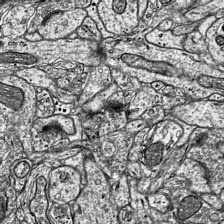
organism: Mouse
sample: Visual Cortex